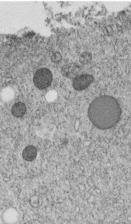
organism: C. elegans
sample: C. elegans embryo early stage